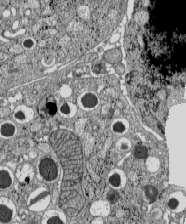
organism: C57BL Mouse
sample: Pancreatic islet